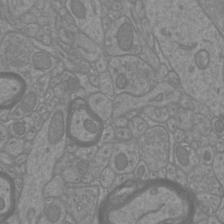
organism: Mouse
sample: Cortical neurons